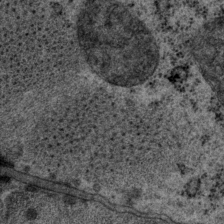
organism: P. pacificus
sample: Pharynx